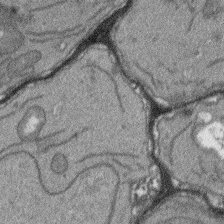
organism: Arabidopsis thaliana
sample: Root tip